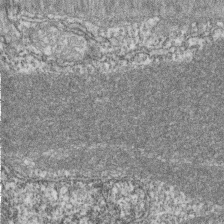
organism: Zebrafish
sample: Cilia; retinal pigment epithelium